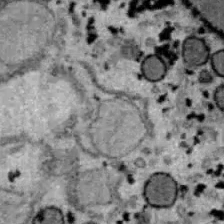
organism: Mouse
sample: Liver from an obese (ob/ob) mouse